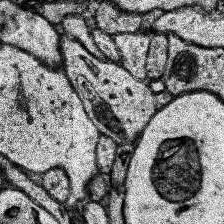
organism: Human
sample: Temporal Lobe